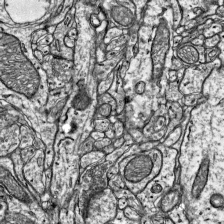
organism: Mouse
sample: Visual Cortex